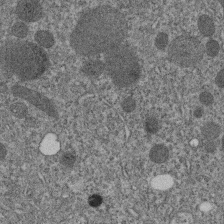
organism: C. elegans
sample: C. elegans embryo early stage